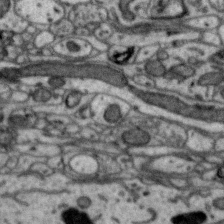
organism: Zebra finch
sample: Brain